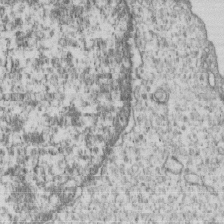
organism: Human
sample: MDA-MB-231 cells